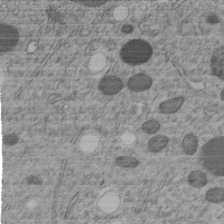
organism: C. elegans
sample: C. elegans embryo early stage